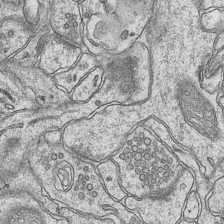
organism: Mouse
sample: CA1 Hippocampus